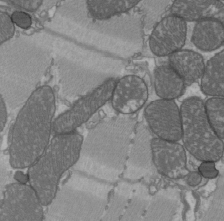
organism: C57BL Mouse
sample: Heart